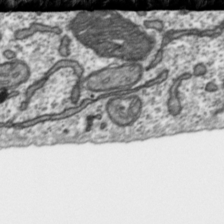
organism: Toxoplasma gondii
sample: Parasites in a vacuole inside a host cell